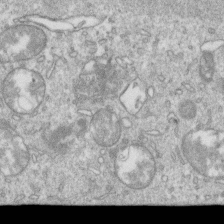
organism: Mouse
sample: Activated OT-1 CD8+ T cells